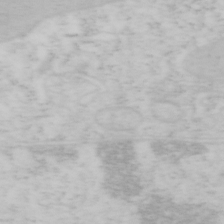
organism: Mouse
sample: OT-I killer T cells with ID8 ovarian cancer cells